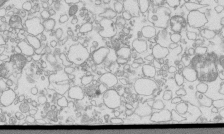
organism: Mouse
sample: Macrophages